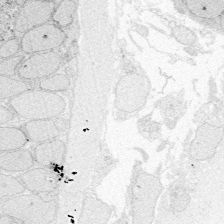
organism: Zebrafish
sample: Whole-Brain